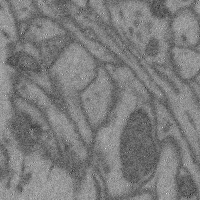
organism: Mouse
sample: Cerebral cortex